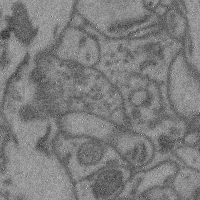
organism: Mouse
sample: Cerebral cortex